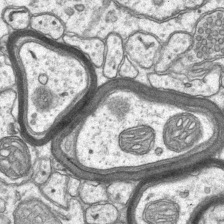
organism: Mouse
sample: CA1 Hippocampus